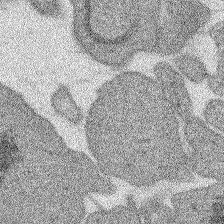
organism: Human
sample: HeLa cells